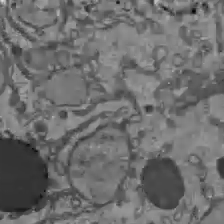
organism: C57BL Mouse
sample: Liver